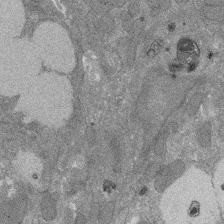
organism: Rat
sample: Salivary granule